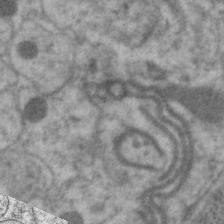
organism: C. elegans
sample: Pharynx